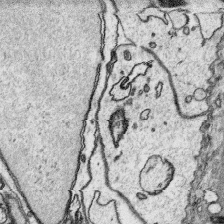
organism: Platynereis dumerilii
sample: Parapodia